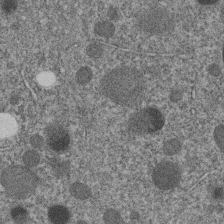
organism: C. elegans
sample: C. elegans embryo early stage